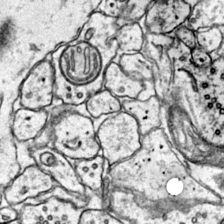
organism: Mouse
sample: Primary visual cortex